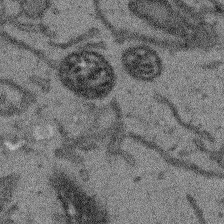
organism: Arabidopsis thaliana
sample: Root tip